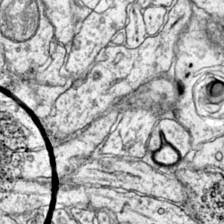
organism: Mouse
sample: Primary visual cortex